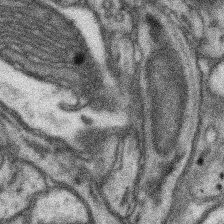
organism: Mouse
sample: Somatosensory cortex neuropil